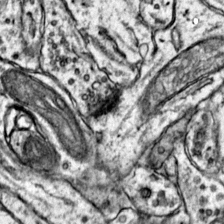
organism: Mouse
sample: Primary visual cortex